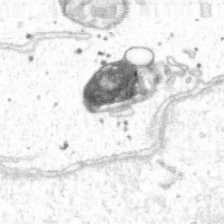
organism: Human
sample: HeLa cells